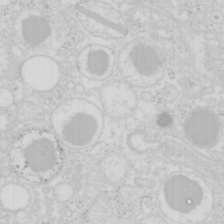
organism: Mouse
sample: Pancreas